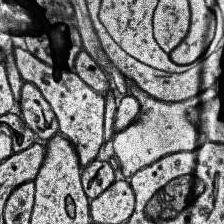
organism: Human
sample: Temporal Lobe